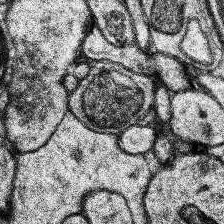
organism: Human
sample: Temporal Lobe